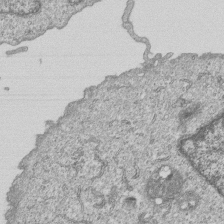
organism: Human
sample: MDA-MB-231 cells